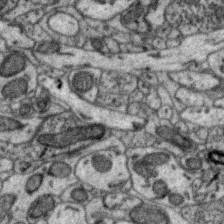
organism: Zebra finch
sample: Brain